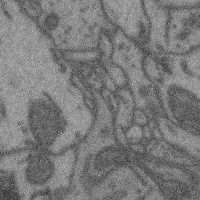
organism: Mouse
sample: Cerebral cortex